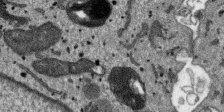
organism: Human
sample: Lung epithelial cells, uninfected (mock) control